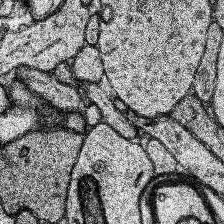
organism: Human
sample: Temporal Lobe